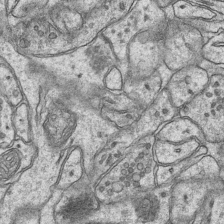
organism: Mouse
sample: CA1 Hippocampus